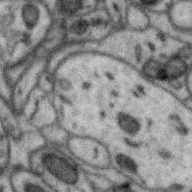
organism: Zebra finch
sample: Brain